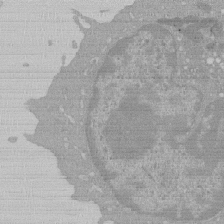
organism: Mouse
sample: Activated Pmel transgenic CD8+ T Cells